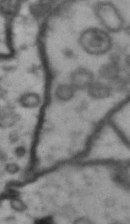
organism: Drosophila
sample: Brain